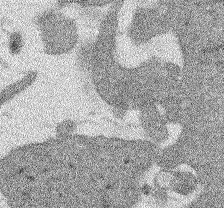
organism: Human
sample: HeLa cells